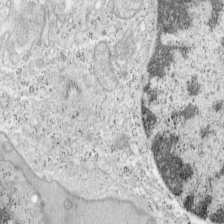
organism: Mouse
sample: OT-I killer T cells with ID8 ovarian cancer cells